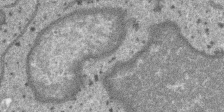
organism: Human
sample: Lung epithelial cells infected with SARS-CoV-2